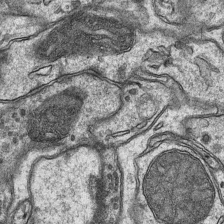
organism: Mouse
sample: CA1 Hippocampus